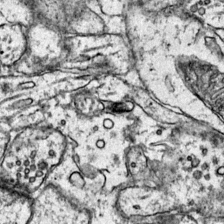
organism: Mouse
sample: Primary visual cortex